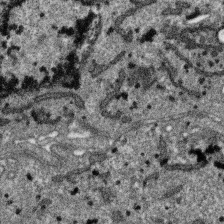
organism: Human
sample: Lung epithelial cells infected with SARS-CoV-2